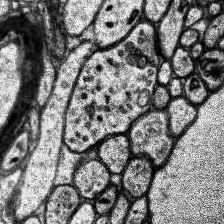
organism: Human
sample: Temporal Lobe